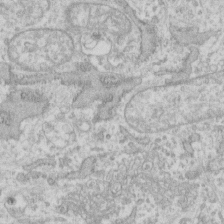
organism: Human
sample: Fibroblast cells